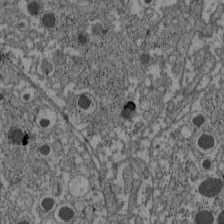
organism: C57BL Mouse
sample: Pancreatic islet